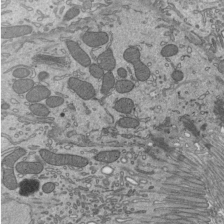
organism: Mouse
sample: Mouse epididymis efferent ductule cilia